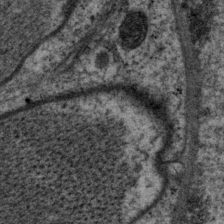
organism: P. pacificus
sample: Pharynx